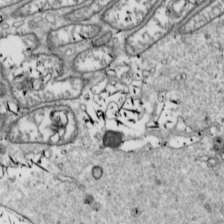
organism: Drosophila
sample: Cell division; meiosis; drosophila spermatocytes